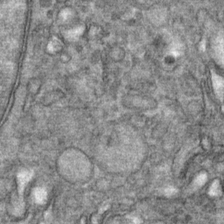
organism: Mouse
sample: Mouse Salivary gland